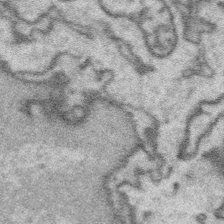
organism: Platynereis dumerilii